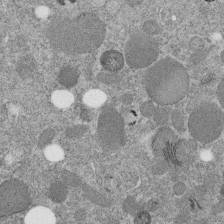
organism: C. elegans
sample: C. elegans embryo early stage